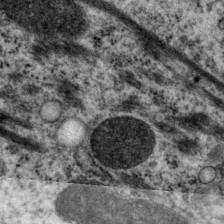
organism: P. pacificus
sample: Pharynx